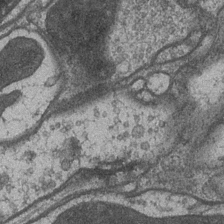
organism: Drosophila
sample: Optic medulla